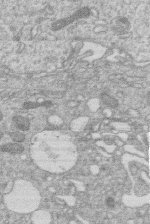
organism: Human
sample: Macrophage cells